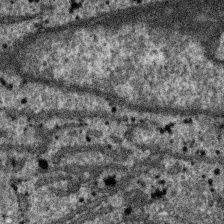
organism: Human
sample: Lung epithelial cells infected with SARS-CoV-2